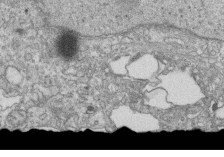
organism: Human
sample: HeLa cell HIV synapse